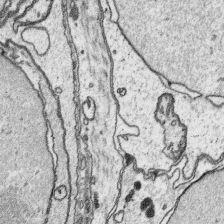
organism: Platynereis dumerilii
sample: Parapodia